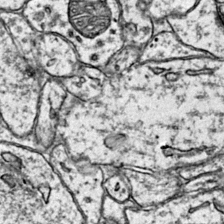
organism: Mouse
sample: Primary visual cortex